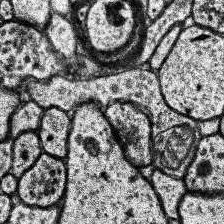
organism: Human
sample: Temporal Lobe